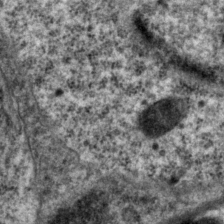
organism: P. pacificus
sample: Pharynx